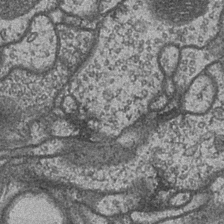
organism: Drosophila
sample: Optic medulla